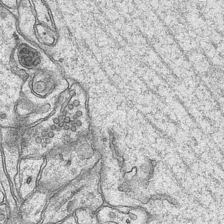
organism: Mouse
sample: CA1 Hippocampus